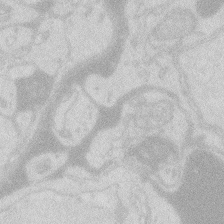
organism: Zebrafish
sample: Macrophage